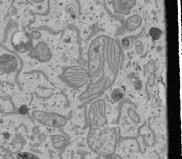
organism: Human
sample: Mitochondria in U2OS cells